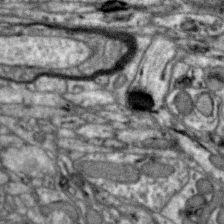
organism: Zebra finch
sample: Brain